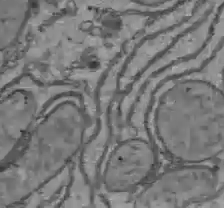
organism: C57BL Mouse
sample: Liver